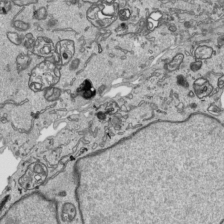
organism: Human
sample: Mitochondria in HCT116 cells